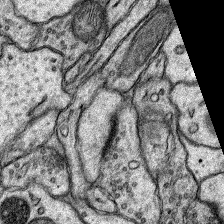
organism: Rat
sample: Hippocampus